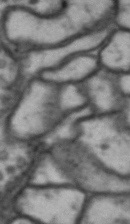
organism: Drosophila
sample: Brain